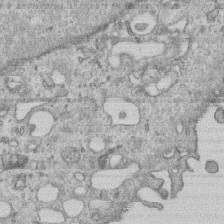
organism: Human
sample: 1205lu cells